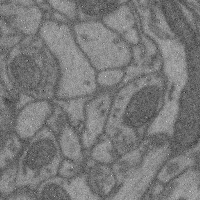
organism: Mouse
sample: Cerebral cortex